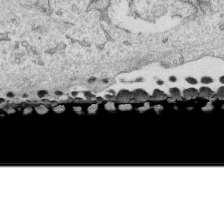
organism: Human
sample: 1205lu cells